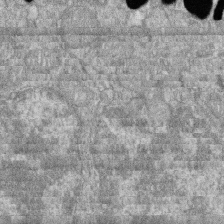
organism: Zebrafish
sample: Cilia; retinal pigment epithelium